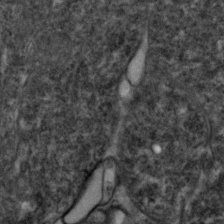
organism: Zebrafish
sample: Zebrafish embryo